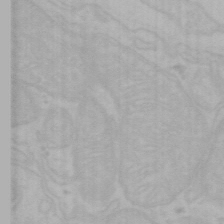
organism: Mouse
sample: Choroid plexus